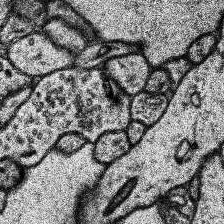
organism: Human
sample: Temporal Lobe